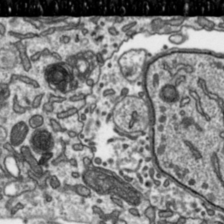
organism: Toxoplasma gondii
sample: Parasites in a vacuole inside a host cell